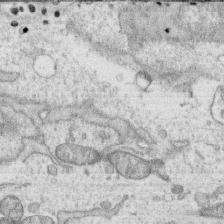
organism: Human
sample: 1205lu cells